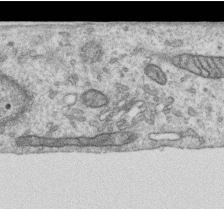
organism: Human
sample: Centriole in RPE cells